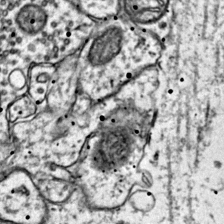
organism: Mouse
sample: Primary visual cortex